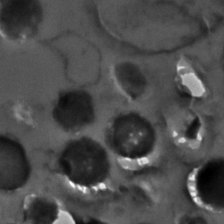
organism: Zebrafish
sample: Zebrafish embryo